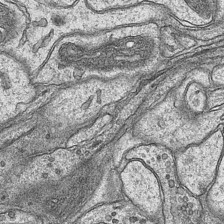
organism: Mouse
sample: CA1 Hippocampus